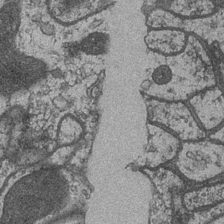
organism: Drosophila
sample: Optic medulla